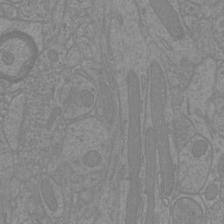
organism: Mouse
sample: Cortical neurons